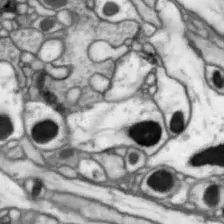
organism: Drosophila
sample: Optic lobe